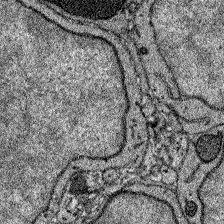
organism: Zebrafish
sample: Larval olfactory bulb